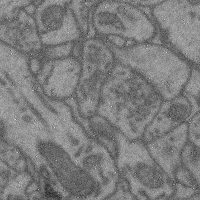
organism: Mouse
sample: Cerebral cortex